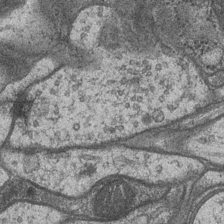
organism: Drosophila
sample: Optic medulla